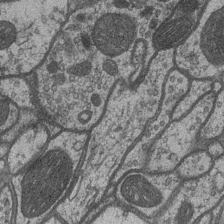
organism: Drosophila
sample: Optic medulla